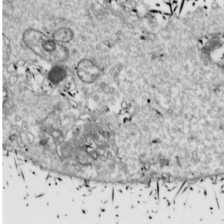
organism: Drosophila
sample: Cell division; meiosis; drosophila spermatocytes